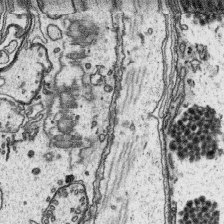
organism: Platynereis dumerilii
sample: Parapodia